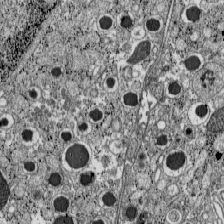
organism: C57BL Mouse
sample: Pancreatic islet